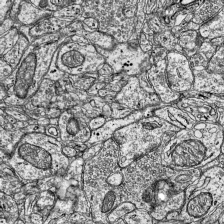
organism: Mouse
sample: Visual Cortex